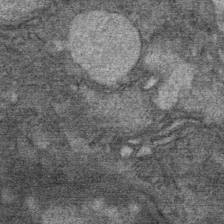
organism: Mouse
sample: Mouse Salivary gland